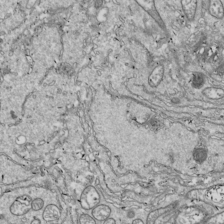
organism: Drosophila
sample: Cell division; meiosis; drosophila spermatocytes